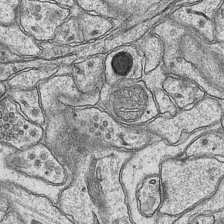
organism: Mouse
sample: CA1 Hippocampus